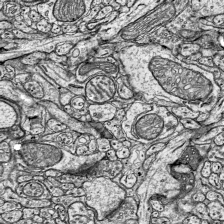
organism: Mouse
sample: Visual Cortex